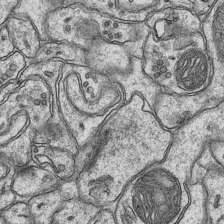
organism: Mouse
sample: CA1 Hippocampus